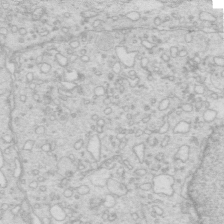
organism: Mouse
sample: Multiciliated cells